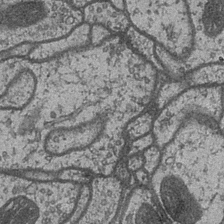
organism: Drosophila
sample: Optic medulla